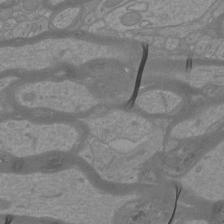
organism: Mouse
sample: Cortical neurons